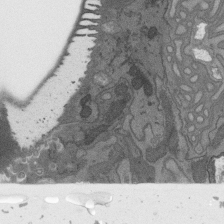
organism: C. elegans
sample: AFD neurons C. elegans